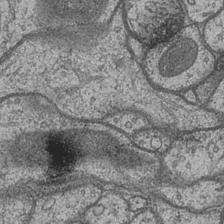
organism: Drosophila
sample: Optic medulla